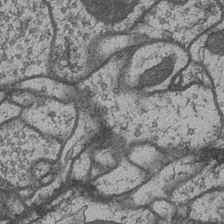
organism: Drosophila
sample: Optic medulla